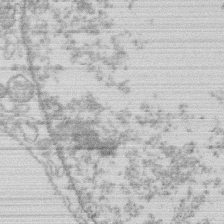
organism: Human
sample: Macrophage cells